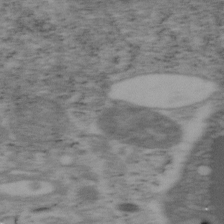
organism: Mouse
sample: OT-I killer T cells with ID8 ovarian cancer cells